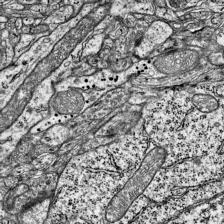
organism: Mouse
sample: Visual Cortex